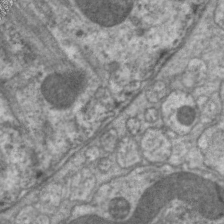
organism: C. elegans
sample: Pharynx